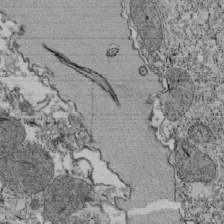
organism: Tetrahymena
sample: Cilia in tetrahymena